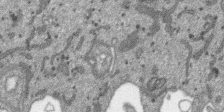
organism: Human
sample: Lung epithelial cells infected with SARS-CoV-2